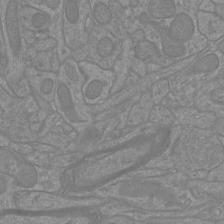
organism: Mouse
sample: Cortical neurons